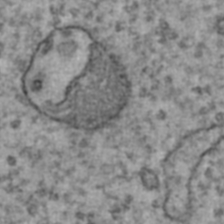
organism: Human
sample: Blood